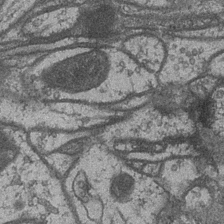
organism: Drosophila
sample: Optic medulla